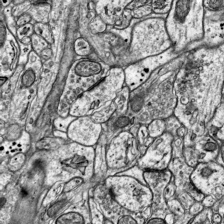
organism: Mouse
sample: Visual Cortex